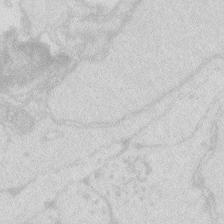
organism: Zebrafish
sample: Macrophage